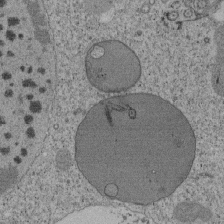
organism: Tetrahymena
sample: Cilia in tetrahymena